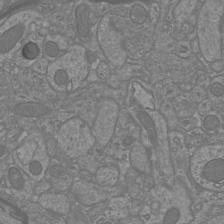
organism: Mouse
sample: Cortical neurons